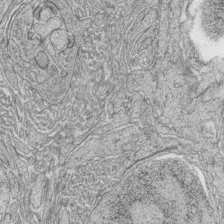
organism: Zebrafish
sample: synaptic ribbons in rod cells and cone cells